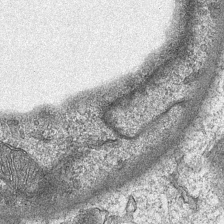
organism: Mouse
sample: CA1 Hippocampus